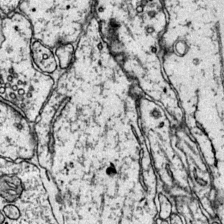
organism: Mouse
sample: Primary visual cortex